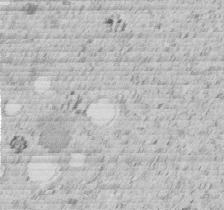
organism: C. elegans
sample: C. elegans embryo early stage